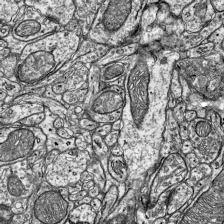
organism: Mouse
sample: Visual Cortex